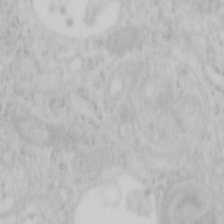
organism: Mouse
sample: OT-I killer T cells with ID8 ovarian cancer cells